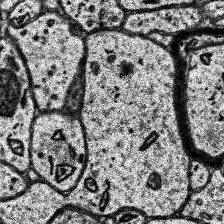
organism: Human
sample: Temporal Lobe